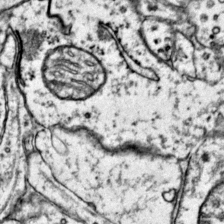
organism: Mouse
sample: Primary visual cortex